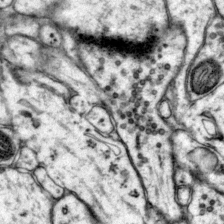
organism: Mouse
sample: Primary visual cortex